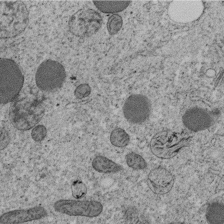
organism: C. elegans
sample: C. elegans embryo early stage